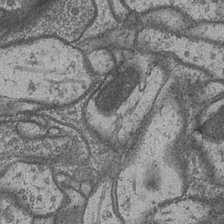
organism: Drosophila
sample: Optic medulla